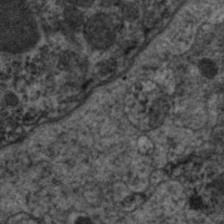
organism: C. elegans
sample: Pharynx